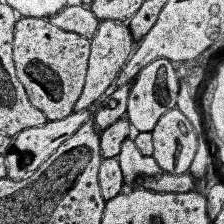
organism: Human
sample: Temporal Lobe